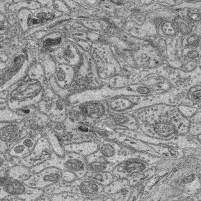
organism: Mouse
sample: Retina